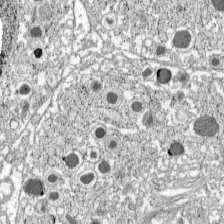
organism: C57BL Mouse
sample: Pancreatic islet